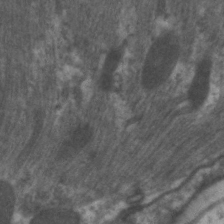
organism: C. elegans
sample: Pharynx